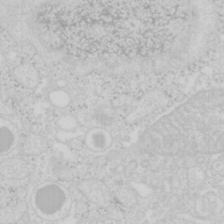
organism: Mouse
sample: Pancreas